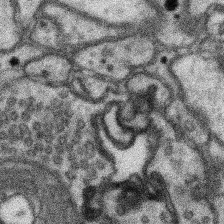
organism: Mouse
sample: Somatosensory cortex neuropil